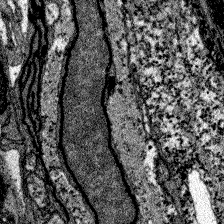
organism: Zebrafish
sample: Larval olfactory bulb